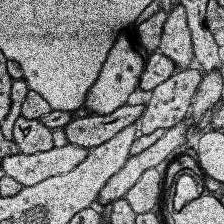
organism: Human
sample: Temporal Lobe